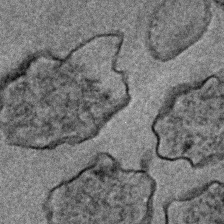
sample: Trachea